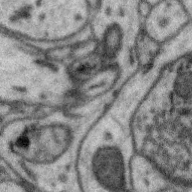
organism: Zebra finch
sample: Brain